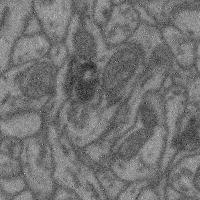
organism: Mouse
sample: Cerebral cortex